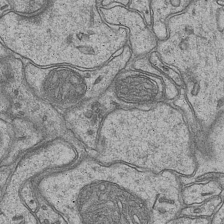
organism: Mouse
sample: CA1 Hippocampus